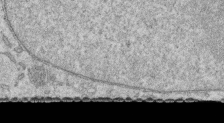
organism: Human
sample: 1205lu cells